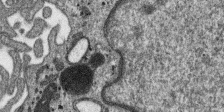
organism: Human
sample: Lung epithelial cells infected with SARS-CoV-2